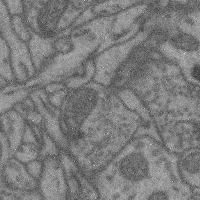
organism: Mouse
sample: Cerebral cortex